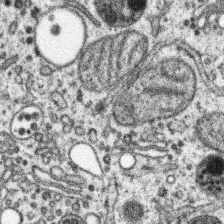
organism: Human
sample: HeLa cells